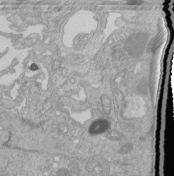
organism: Human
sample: Retinal organoid Rod and Cone cells